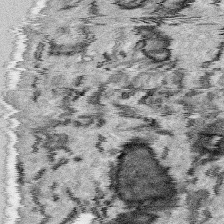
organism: Human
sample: HeLa cells